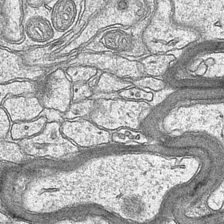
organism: Mouse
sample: CA1 Hippocampus